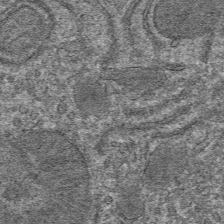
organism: Mouse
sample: Mouse hepatocytes